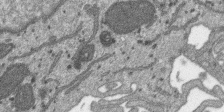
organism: Human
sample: Lung epithelial cells infected with SARS-CoV-2